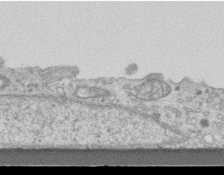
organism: Mouse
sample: Centriole in ependymal cells